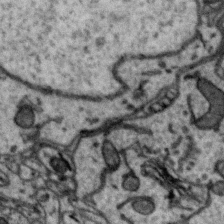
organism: Zebra finch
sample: Brain